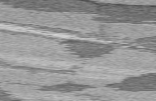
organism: C57BL Mouse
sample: Heart